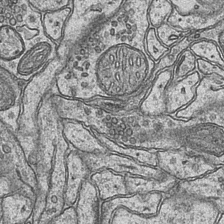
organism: Mouse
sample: CA1 Hippocampus